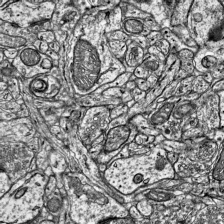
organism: Mouse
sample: Visual Cortex